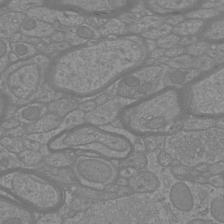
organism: Mouse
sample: Cortical neurons